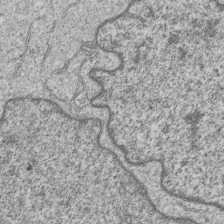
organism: Human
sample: MDA-MB-231 cells